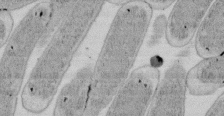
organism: E. coli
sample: Bacterial nucleoid